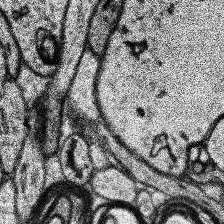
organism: Human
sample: Temporal Lobe